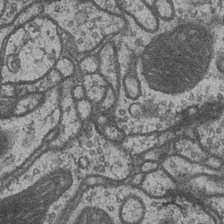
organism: Drosophila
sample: Optic medulla